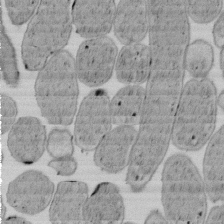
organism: E. coli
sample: Bacterial nucleoid